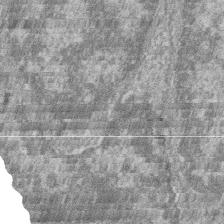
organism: Zebrafish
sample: Cilia; retinal pigment epithelium